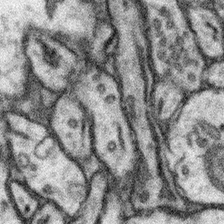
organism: Mouse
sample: Somatosensory cortex neuropil